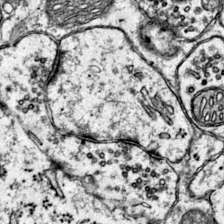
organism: Mouse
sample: Primary visual cortex